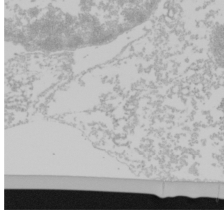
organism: Mouse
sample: Cancer cell death in ED-1 cells